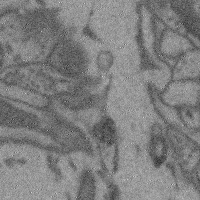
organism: Mouse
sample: Cerebral cortex